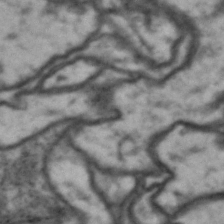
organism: Drosophila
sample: Brain